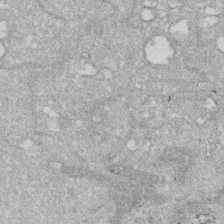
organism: Human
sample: HIV infected U937 cells